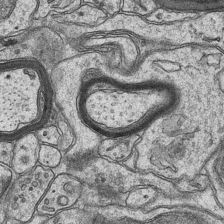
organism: Mouse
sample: CA1 Hippocampus